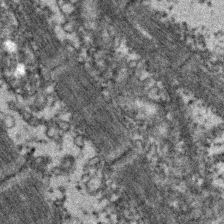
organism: Zebrafish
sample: Zebrafish embryo